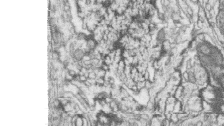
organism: Zebrafish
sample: synaptic ribbons in rod cells and cone cells